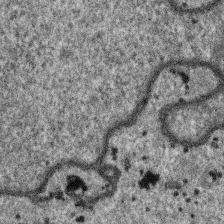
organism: Human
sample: Lung epithelial cells infected with SARS-CoV-2